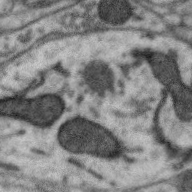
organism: Zebra finch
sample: Brain